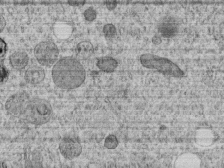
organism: C. elegans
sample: C. elegans embryo early stage